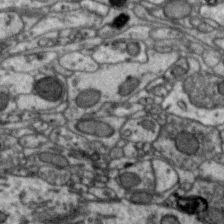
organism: Zebra finch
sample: Brain